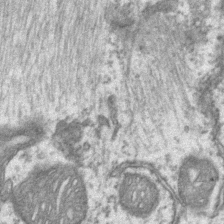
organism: Mouse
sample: CA1 Hippocampus